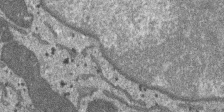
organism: Human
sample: Lung epithelial cells infected with SARS-CoV-2